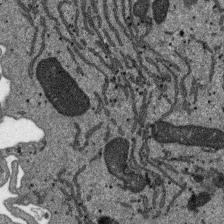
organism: Human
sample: Lung epithelial cells infected with SARS-CoV-2